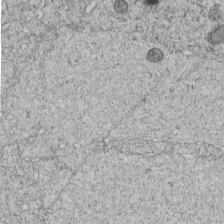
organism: C. elegans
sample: C. elegans embryo early stage